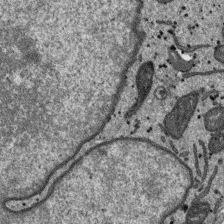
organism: Human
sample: Lung epithelial cells, uninfected (mock) control